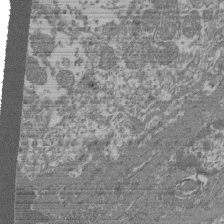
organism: Mouse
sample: Glomerulus